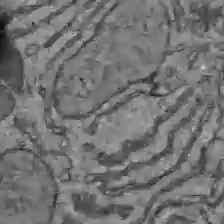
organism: C57BL Mouse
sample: Liver